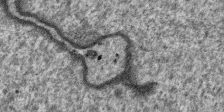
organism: Human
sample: Lung epithelial cells, uninfected (mock) control